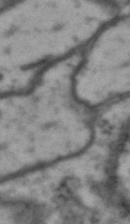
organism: Drosophila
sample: Brain